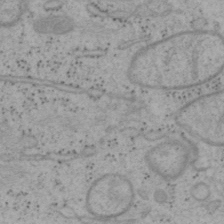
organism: Human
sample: HeLa cells